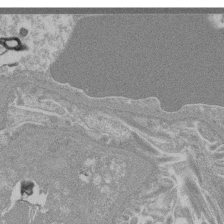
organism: Mouse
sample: Glomerulus